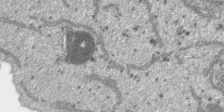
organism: Human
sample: Lung epithelial cells infected with SARS-CoV-2